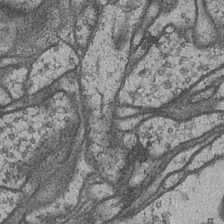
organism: Drosophila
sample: Optic medulla